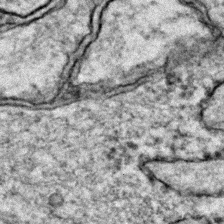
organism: Zebrafish